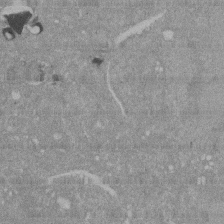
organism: Mouse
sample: ED-1 cell nuclei; centrioles